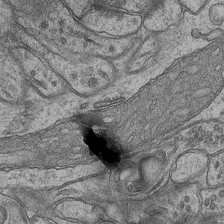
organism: Mouse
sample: CA1 Hippocampus